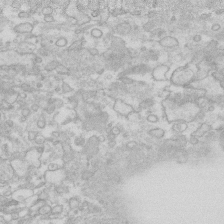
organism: Human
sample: Fibroblast cells